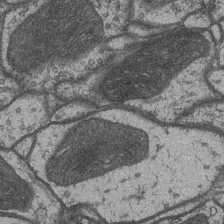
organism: Drosophila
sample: Optic medulla